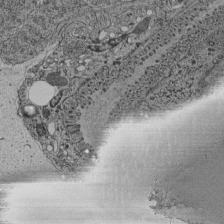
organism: C. elegans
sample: C. elegans pharynx